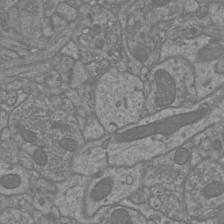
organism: Mouse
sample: Cortical neurons